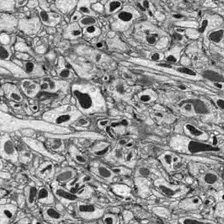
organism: Drosophila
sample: Optic lobe